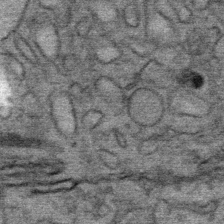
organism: Mouse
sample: Mouse Salivary gland